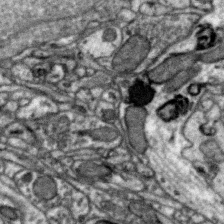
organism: Zebra finch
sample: Brain